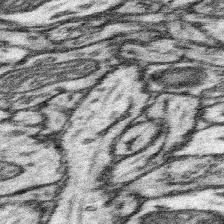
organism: Mouse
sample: Somatosensory cortex neuropil